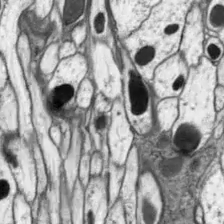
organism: Drosophila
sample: Optic lobe